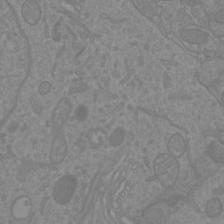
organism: Mouse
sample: Cortical neurons